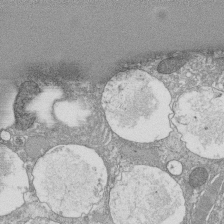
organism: Tetrahymena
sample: Cilia in tetrahymena